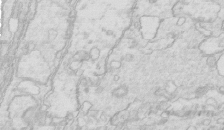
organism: Mouse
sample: Multiciliated cells